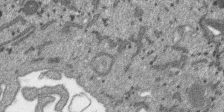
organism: Human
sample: Lung epithelial cells infected with SARS-CoV-2